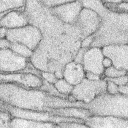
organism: Rabbit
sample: Retina